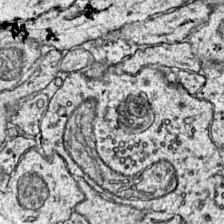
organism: Mouse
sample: Primary visual cortex